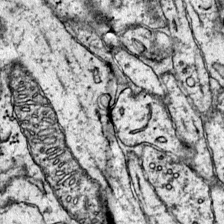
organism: Mouse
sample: Primary visual cortex